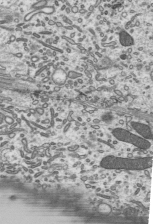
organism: Mouse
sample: Mouse epididymis efferent ductule cilia